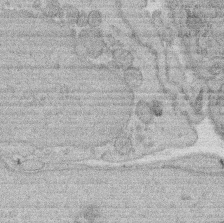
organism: Rat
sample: Salivary granule